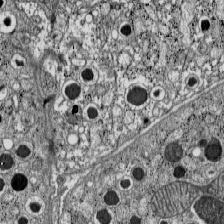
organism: C57BL Mouse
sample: Pancreatic islet